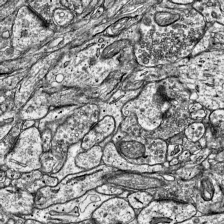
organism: Mouse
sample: Visual Cortex